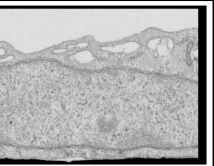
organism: Human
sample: Centriole in RPE cells